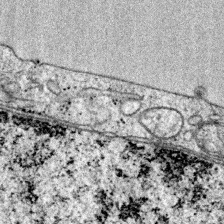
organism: Human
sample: HeLa cells